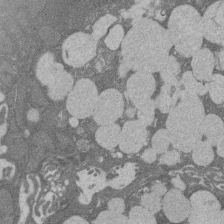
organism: Rat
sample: Salivary granule